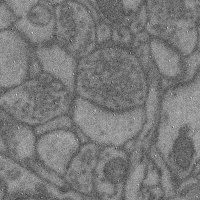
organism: Mouse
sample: Cerebral cortex